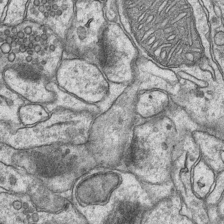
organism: Mouse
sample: CA1 Hippocampus